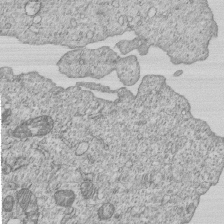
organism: Human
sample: MDA-MB-231 cells